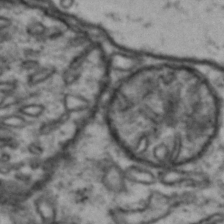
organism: Drosophila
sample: Brain